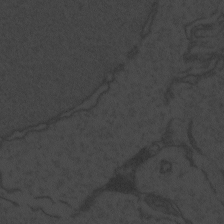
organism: Zebrafish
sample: Macrophage infected with Toxoplasma gondii